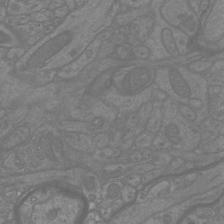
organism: Mouse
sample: Cortical neurons